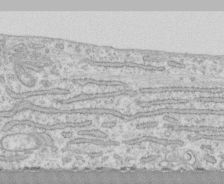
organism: Human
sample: CRL-1474